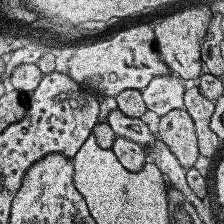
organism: Human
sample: Temporal Lobe